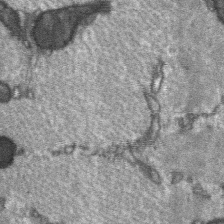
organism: C57BL Mouse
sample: Soleus